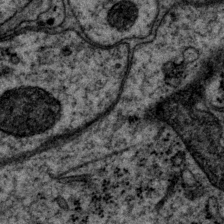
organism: P. pacificus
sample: Pharynx